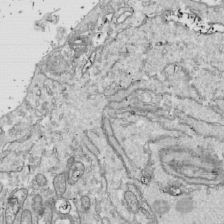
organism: Drosophila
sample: Cell division; meiosis; drosophila spermatocytes